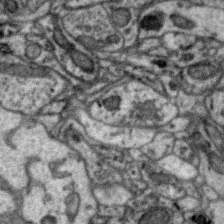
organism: Zebra finch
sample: Brain